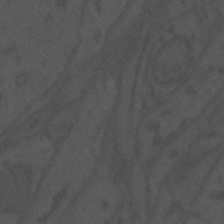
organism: Mouse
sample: Suprachiasmatic nucleus